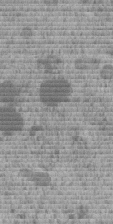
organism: C. elegans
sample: C. elegans embryo early stage